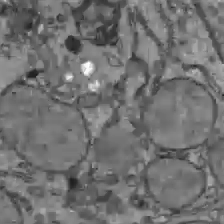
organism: C57BL Mouse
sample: Liver